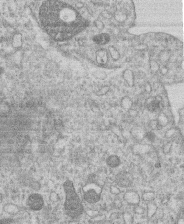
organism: Human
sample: Macrophage cells